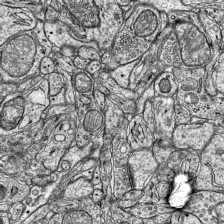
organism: Mouse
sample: Visual Cortex